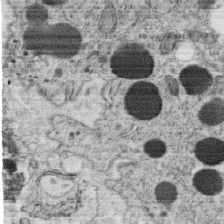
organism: C. elegans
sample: C. elegans oocyte; sperm cells